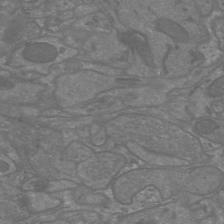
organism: Mouse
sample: Cortical neurons